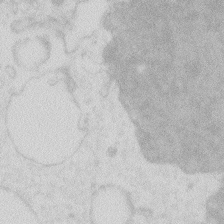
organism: Zebrafish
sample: Macrophage